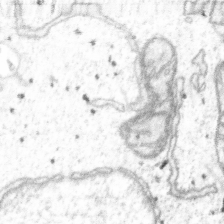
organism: Human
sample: HeLa cells